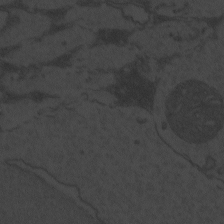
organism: Zebrafish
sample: Macrophage infected with Toxoplasma gondii